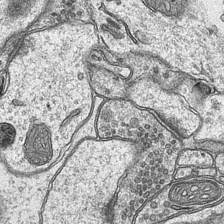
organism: Mouse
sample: CA1 Hippocampus